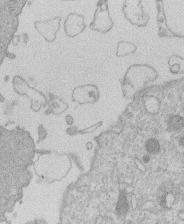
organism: Human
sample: Macrophage cells